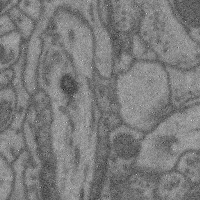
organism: Mouse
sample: Cerebral cortex